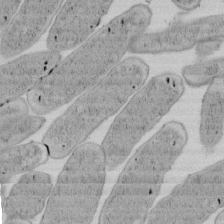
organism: E. coli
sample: Bacterial nucleoid